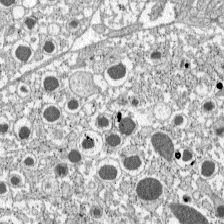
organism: C57BL Mouse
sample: Pancreatic islet